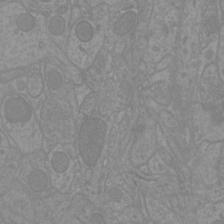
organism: Mouse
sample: Cortical neurons